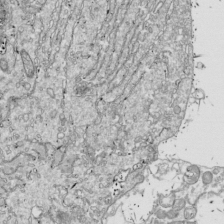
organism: Drosophila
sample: Cell division; meiosis; drosophila spermatocytes